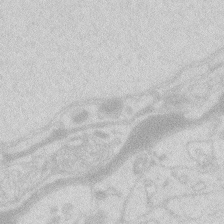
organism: Zebrafish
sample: Macrophage